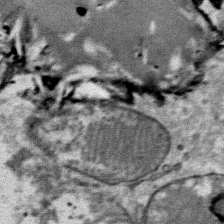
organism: Mouse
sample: Mouse Salivary gland